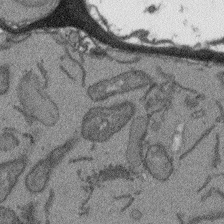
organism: Arabidopsis thaliana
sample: Root tip